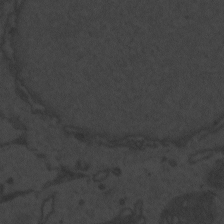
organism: Zebrafish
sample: Macrophage infected with Toxoplasma gondii